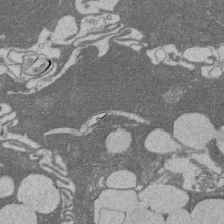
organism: Rat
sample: Salivary granule